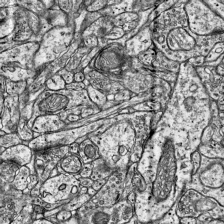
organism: Mouse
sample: Visual Cortex